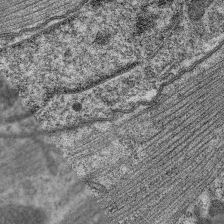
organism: C. elegans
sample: Pharynx